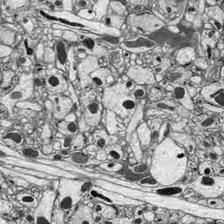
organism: Drosophila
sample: Optic lobe